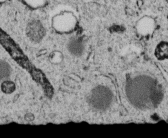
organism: C. elegans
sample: C. elegans embryo early stage